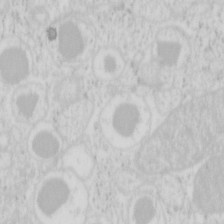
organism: Mouse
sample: Pancreas